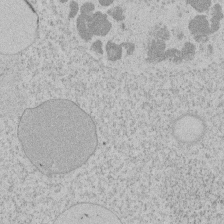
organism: Tetrahymena